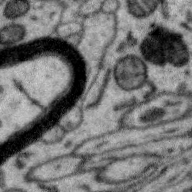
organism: Zebra finch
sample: Brain